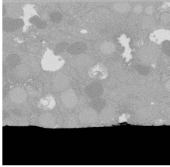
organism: C. elegans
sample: C. elegans oocyte; sperm cells